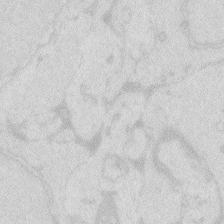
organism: Zebrafish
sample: Macrophage